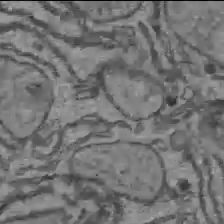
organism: C57BL Mouse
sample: Liver